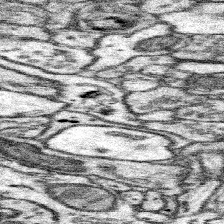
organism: Mouse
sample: Somatosensory cortex neuropil